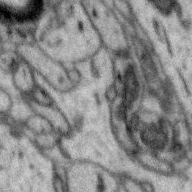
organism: Zebra finch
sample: Brain